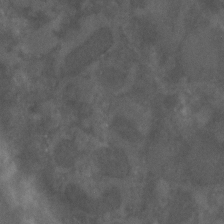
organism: C. elegans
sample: C. elegans embryo